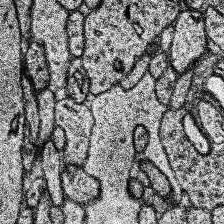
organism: Human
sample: Temporal Lobe